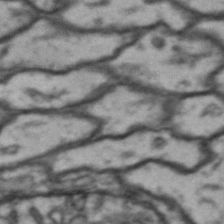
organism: Drosophila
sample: Brain